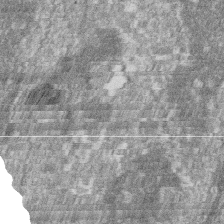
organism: Zebrafish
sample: Cilia; retinal pigment epithelium